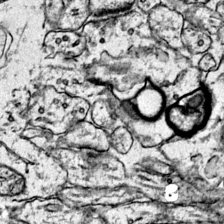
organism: Mouse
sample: Primary visual cortex